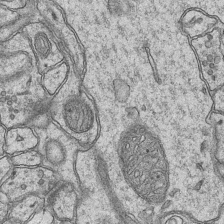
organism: Mouse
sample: CA1 Hippocampus